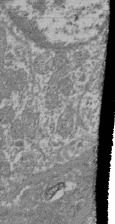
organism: Mouse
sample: Glomerulus